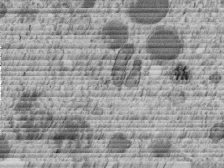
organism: C. elegans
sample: C. elegans embryo early stage